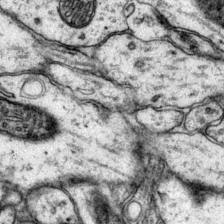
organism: Mouse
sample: Primary visual cortex